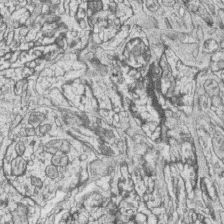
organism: Zebrafish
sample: synaptic ribbons in rod cells and cone cells